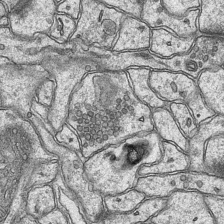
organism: Mouse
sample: CA1 Hippocampus